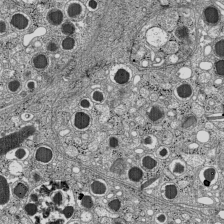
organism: C57BL Mouse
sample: Pancreatic islet